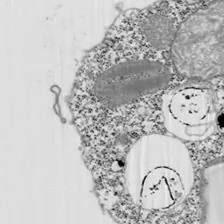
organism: Chlamydomonas reinhardtii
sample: Whole Cell